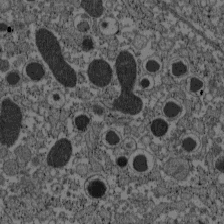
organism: C57BL Mouse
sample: Pancreatic islet